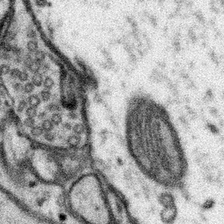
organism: Mouse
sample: Somatosensory cortex neuropil